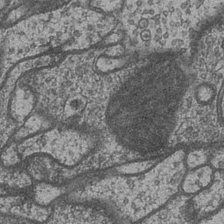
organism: Drosophila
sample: Optic medulla